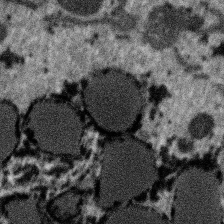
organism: Human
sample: Lung epithelial cells infected with SARS-CoV-2